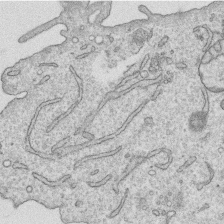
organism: Human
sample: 1205lu cells